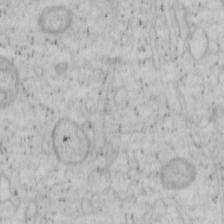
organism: Human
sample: HeLa cells